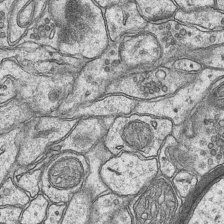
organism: Mouse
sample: CA1 Hippocampus